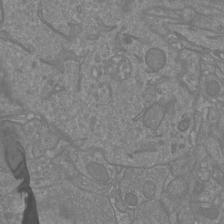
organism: Mouse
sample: Cortical neurons